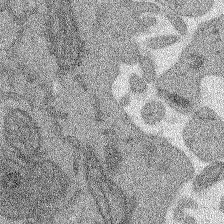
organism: Human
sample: HeLa cells